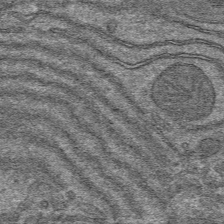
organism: Mouse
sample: Mouse hepatocytes